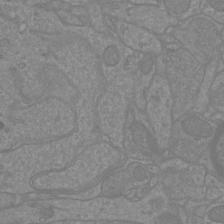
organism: Mouse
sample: Cortical neurons